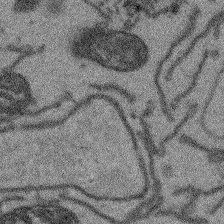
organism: Arabidopsis thaliana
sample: Root tip